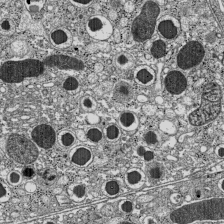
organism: C57BL Mouse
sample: Pancreatic islet